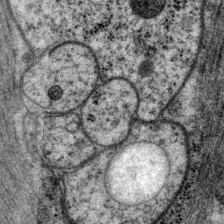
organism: P. pacificus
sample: Pharynx